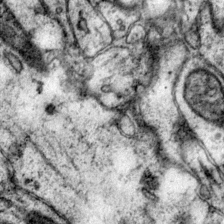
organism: Mouse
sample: Primary visual cortex